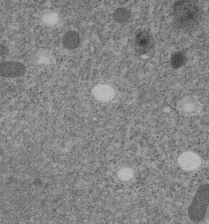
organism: C. elegans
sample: C. elegans embryo early stage